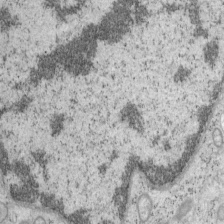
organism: Mouse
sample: OT-I killer T cells with ID8 ovarian cancer cells